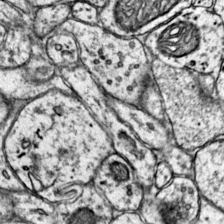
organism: Mouse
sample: Primary visual cortex